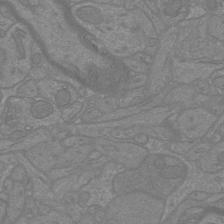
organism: Mouse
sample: Cortical neurons